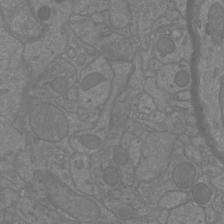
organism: Mouse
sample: Cortical neurons